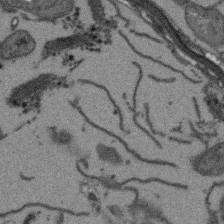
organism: Arabidopsis thaliana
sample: Root tip